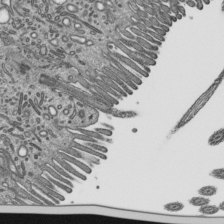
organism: Mouse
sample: Mouse epididymis efferent ductule cilia